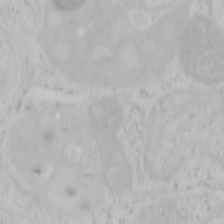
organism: Mouse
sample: OT-I killer T cells with ID8 ovarian cancer cells